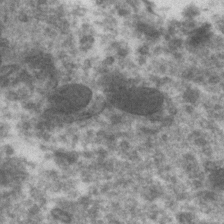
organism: Zebrafish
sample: Zebrafish embryo